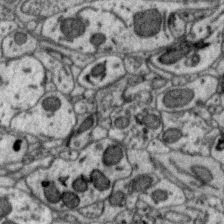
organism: Zebra finch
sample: Brain